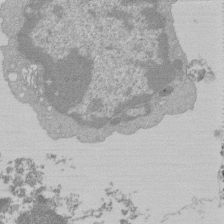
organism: Mouse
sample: Activated Pmel transgenic CD8+ T Cells